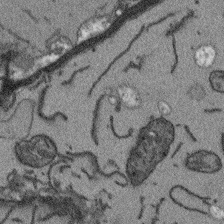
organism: Arabidopsis thaliana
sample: Root tip